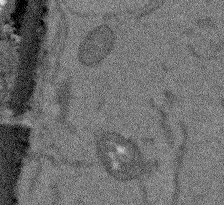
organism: Arabidopsis thaliana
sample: Root tip